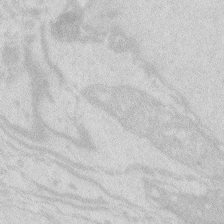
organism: Zebrafish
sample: Macrophage